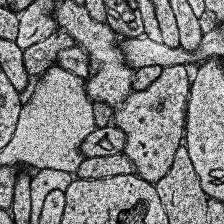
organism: Human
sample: Temporal Lobe